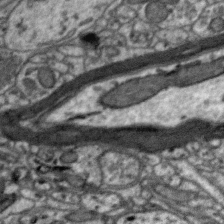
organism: Zebra finch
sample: Brain